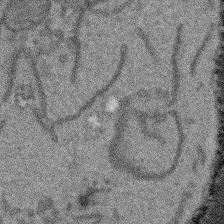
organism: Arabidopsis thaliana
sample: Root tip